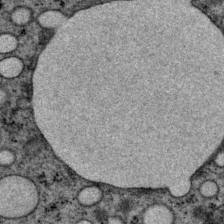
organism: P. pacificus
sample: Pharynx